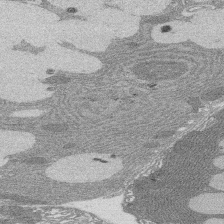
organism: Rat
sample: Salivary granule